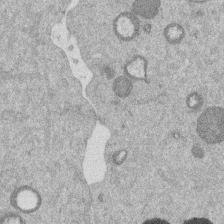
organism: Mouse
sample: Dividing mouse embryo 1 cell stage